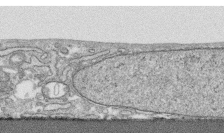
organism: Human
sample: CRL-1474